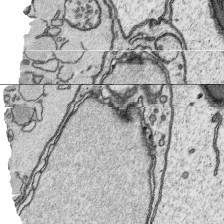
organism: Platynereis dumerilii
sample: Parapodia